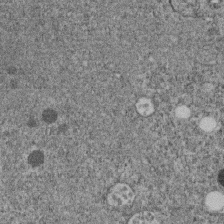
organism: C. elegans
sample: C. elegans embryo early stage